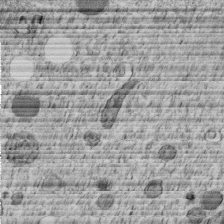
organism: C. elegans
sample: C. elegans embryo early stage